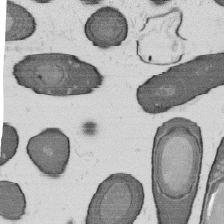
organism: B. subtilis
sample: Bacterial spore